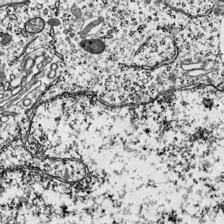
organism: Mouse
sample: Visual Cortex